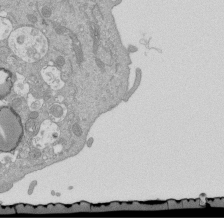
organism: Mouse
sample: ED-1 cell nuclei; centrioles